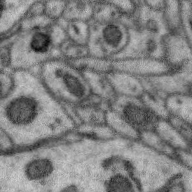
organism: Zebra finch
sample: Brain